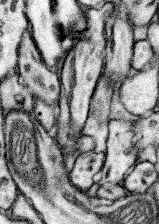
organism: Mouse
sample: Somatosensory cortex neuropil